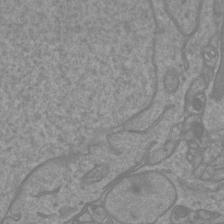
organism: Mouse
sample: Cortical neurons